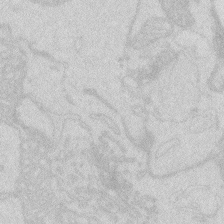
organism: Zebrafish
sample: Macrophage